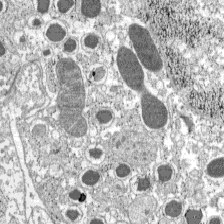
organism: C57BL Mouse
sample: Pancreatic islet